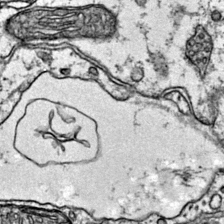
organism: Mouse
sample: Primary visual cortex